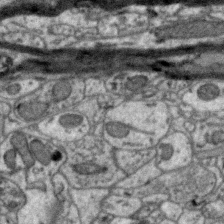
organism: Zebra finch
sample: Brain